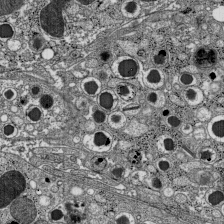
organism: C57BL Mouse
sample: Pancreatic islet